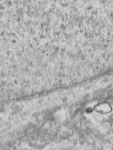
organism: Human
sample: Centriole in RPE cells